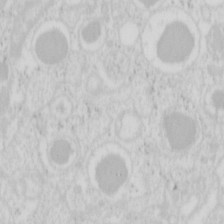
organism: Mouse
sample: Pancreas